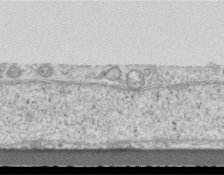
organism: Mouse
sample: Centriole in ependymal cells